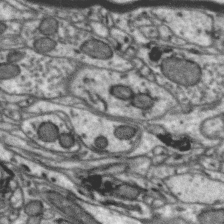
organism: Zebra finch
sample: Brain